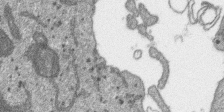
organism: Human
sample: Lung epithelial cells infected with SARS-CoV-2